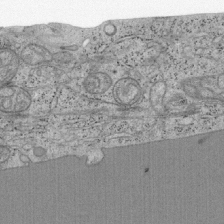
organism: Human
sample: HeLa cells